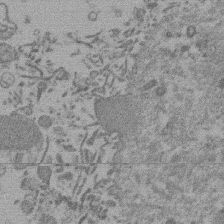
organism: Mouse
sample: Dividing mouse embryo 1 cell stage